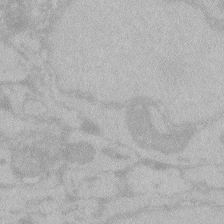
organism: Zebrafish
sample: Macrophage infected with Toxoplasma gondii